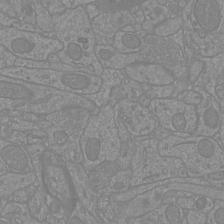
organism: Mouse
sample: Cortical neurons